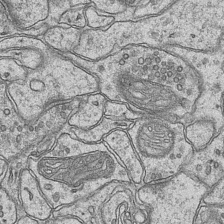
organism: Mouse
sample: CA1 Hippocampus